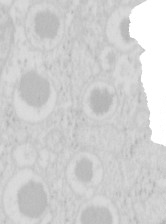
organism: Mouse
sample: Pancreas